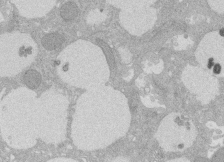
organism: Rat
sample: Salivary granule